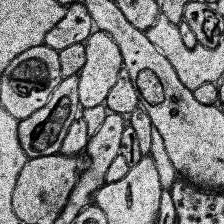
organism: Human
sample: Temporal Lobe